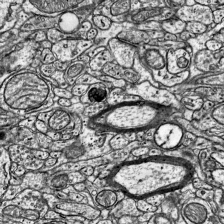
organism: Mouse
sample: Visual Cortex